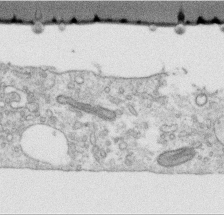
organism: Human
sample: Centriole in RPE cells